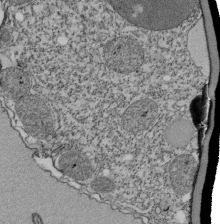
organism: Tetrahymena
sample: Cilia in tetrahymena